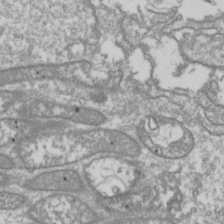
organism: Drosophila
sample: Cell division; meiosis; drosophila spermatocytes